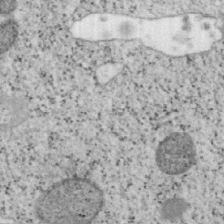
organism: Mouse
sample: OT-I killer T cells with ID8 ovarian cancer cells